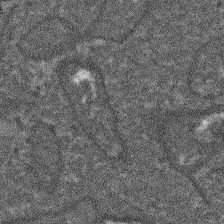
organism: Arabidopsis thaliana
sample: Root tip